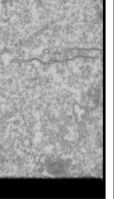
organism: Drosophila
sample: Cell division; meiosis; drosophila spermatocytes